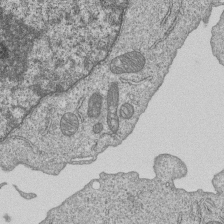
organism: Human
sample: MDA-MB-231 cells